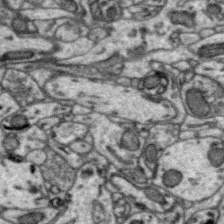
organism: Zebra finch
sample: Brain